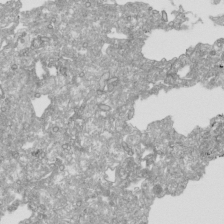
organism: Human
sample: Mitochondria in HCT116 cells